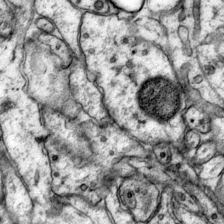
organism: Mouse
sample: Primary visual cortex